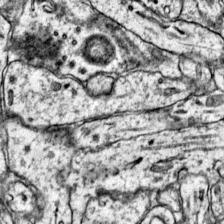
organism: Mouse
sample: Primary visual cortex